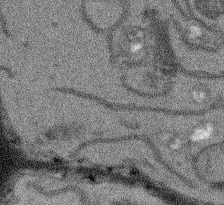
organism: Arabidopsis thaliana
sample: Root tip